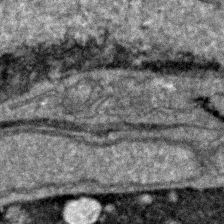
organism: Zebrafish